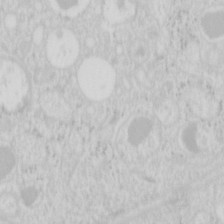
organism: Mouse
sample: Pancreas